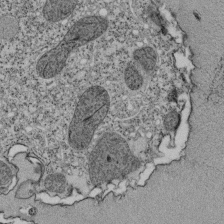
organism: Tetrahymena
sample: Cilia in tetrahymena